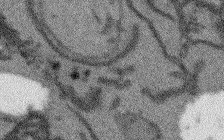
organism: Arabidopsis thaliana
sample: Root tip